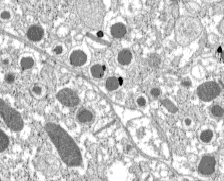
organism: C57BL Mouse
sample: Pancreatic islet